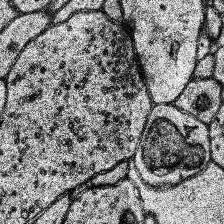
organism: Human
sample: Temporal Lobe